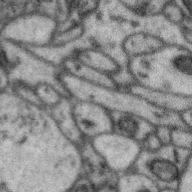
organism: Zebra finch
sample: Brain